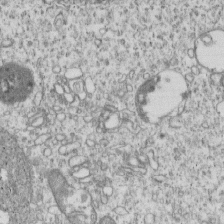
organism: Human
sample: MDA-MB-231 cells